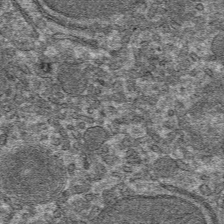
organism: Mouse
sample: Mouse hepatocytes